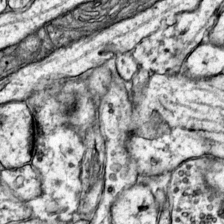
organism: Mouse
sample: Primary visual cortex